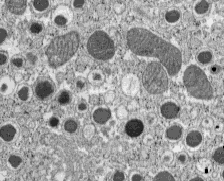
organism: C57BL Mouse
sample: Pancreatic islet